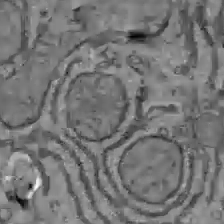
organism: C57BL Mouse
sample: Liver